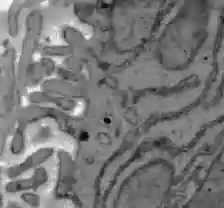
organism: C57BL Mouse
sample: Liver